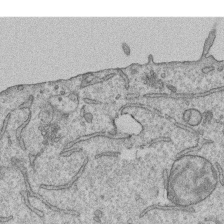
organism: Human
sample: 1205lu cells